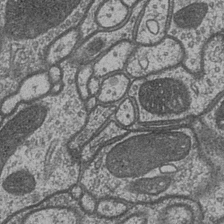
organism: Drosophila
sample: Optic medulla